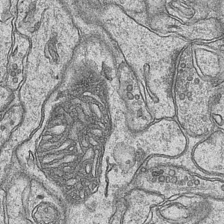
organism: Mouse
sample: CA1 Hippocampus